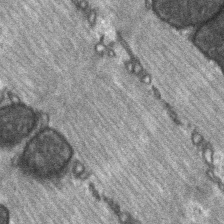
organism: C57BL Mouse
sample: Soleus